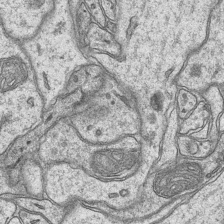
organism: Mouse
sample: CA1 Hippocampus